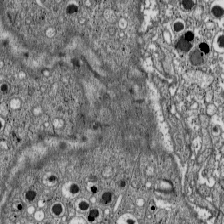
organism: C57BL Mouse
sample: Pancreatic islet